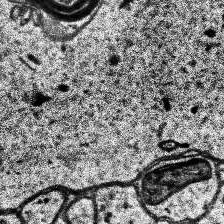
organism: Human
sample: Temporal Lobe